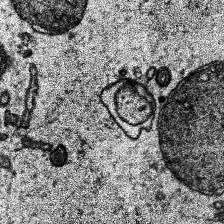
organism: Human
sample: Temporal Lobe